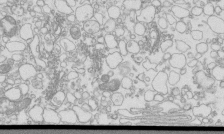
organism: Mouse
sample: Macrophages